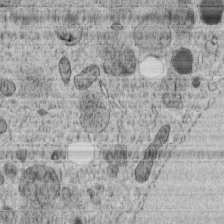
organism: C. elegans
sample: C. elegans embryo early stage